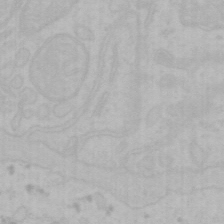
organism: Mouse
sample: Choroid plexus